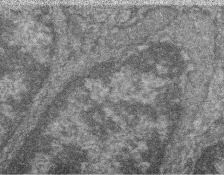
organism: Zebrafish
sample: Cilia; retinal pigment epithelium